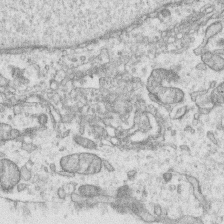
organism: Human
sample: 1205lu cells